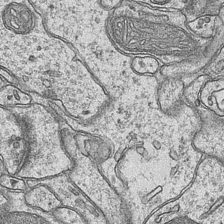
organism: Mouse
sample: CA1 Hippocampus